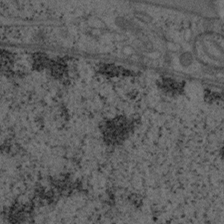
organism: Human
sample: HeLa cells